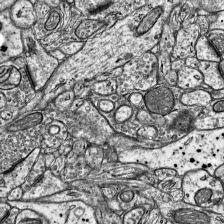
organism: Mouse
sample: Visual Cortex